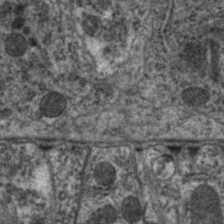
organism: C. elegans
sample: Pharynx